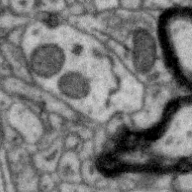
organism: Zebra finch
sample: Brain